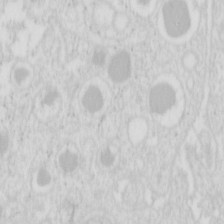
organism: Mouse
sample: Pancreas